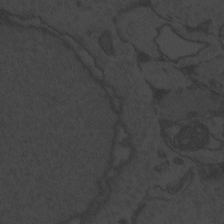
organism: Zebrafish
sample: Macrophage infected with Toxoplasma gondii